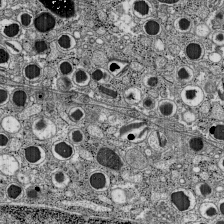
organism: C57BL Mouse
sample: Pancreatic islet